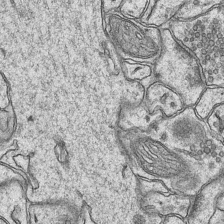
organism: Mouse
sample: CA1 Hippocampus